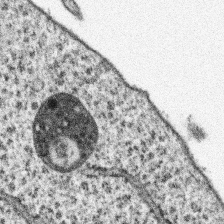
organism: Human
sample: HeLa cells